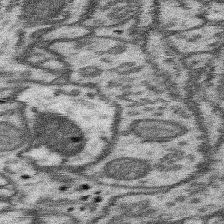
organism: Mouse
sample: Somatosensory cortex neuropil